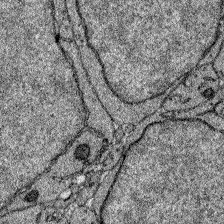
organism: Zebrafish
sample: Larval olfactory bulb